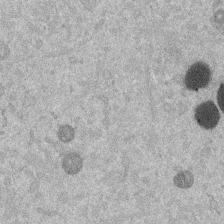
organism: Mouse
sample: Dividing mouse embryo 1 cell stage